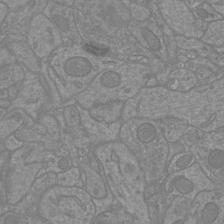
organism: Mouse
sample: Cortical neurons